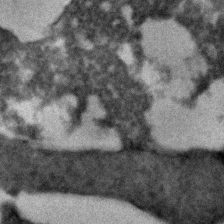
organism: C. elegans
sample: C. elegans embryo